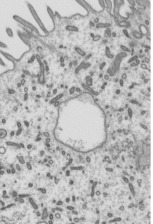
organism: Mouse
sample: Mouse epididymis efferent ductule cilia